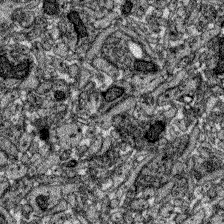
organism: Zebrafish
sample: Larval olfactory bulb